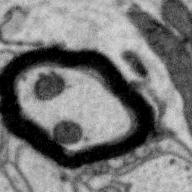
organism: Zebra finch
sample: Brain